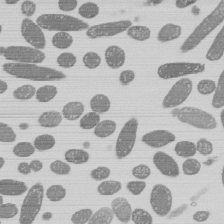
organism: E. coli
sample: Bacterial nucleoid